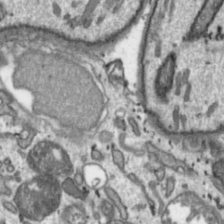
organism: Toxoplasma gondii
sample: Parasites in a vacuole inside a host cell